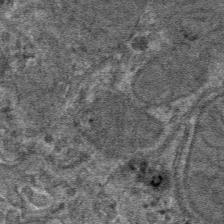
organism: Mouse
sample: Mouse hepatocytes